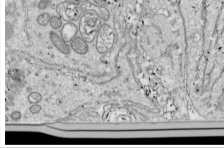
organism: Drosophila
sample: Cell division; meiosis; drosophila spermatocytes